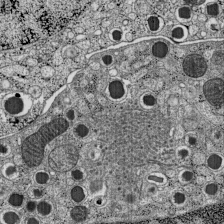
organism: C57BL Mouse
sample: Pancreatic islet